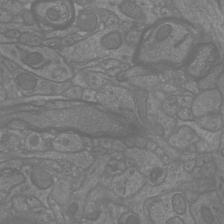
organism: Mouse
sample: Cortical neurons